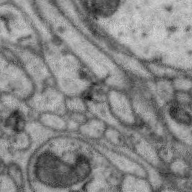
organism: Zebra finch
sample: Brain